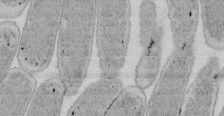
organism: E. coli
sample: Bacterial nucleoid